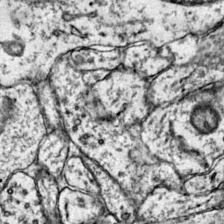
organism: Mouse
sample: Primary visual cortex